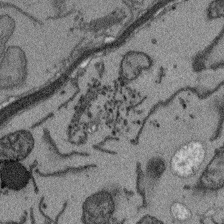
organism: Arabidopsis thaliana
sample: Root tip